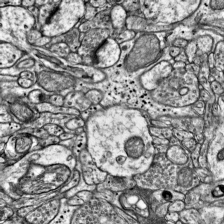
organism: Mouse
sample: Visual Cortex